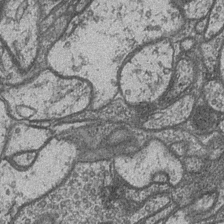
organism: Drosophila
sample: Optic medulla